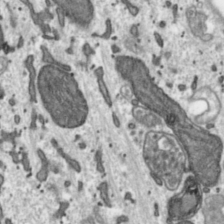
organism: Toxoplasma gondii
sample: Parasites in a vacuole inside a host cell